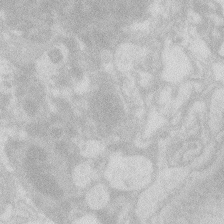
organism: Zebrafish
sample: Macrophage